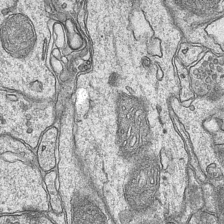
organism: Mouse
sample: CA1 Hippocampus